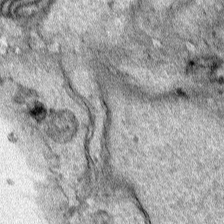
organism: Human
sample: Mitochondria in HCT116 cells